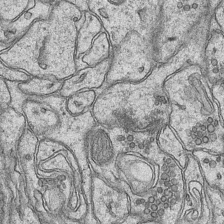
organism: Mouse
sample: CA1 Hippocampus